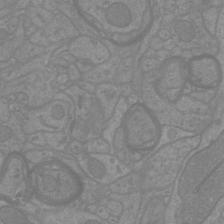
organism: Mouse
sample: Cortical neurons